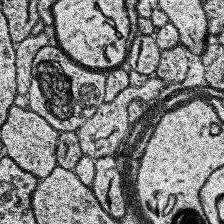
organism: Human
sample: Temporal Lobe